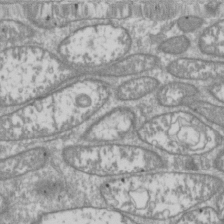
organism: Drosophila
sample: Cell division; meiosis; drosophila spermatocytes